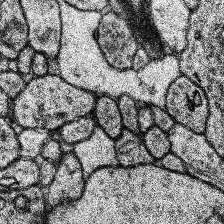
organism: Human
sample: Temporal Lobe